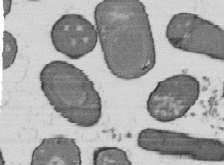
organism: B. subtilis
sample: Bacterial spore